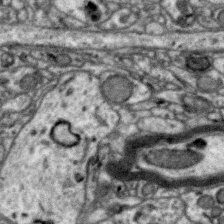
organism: Zebra finch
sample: Brain